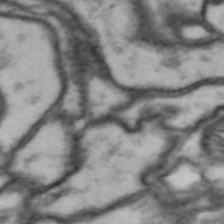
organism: Drosophila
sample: Brain